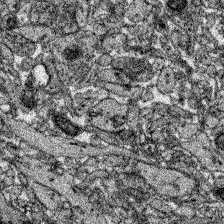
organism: Zebrafish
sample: Larval olfactory bulb